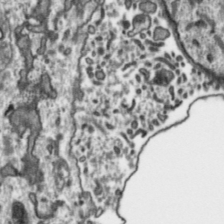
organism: Toxoplasma gondii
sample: Parasites in a vacuole inside a host cell